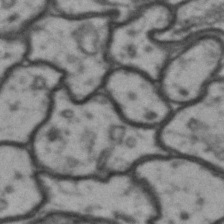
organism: Drosophila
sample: Brain